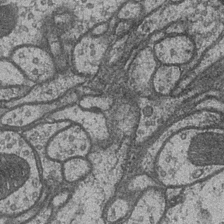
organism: Drosophila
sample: Optic medulla